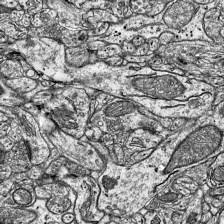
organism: Mouse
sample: Visual Cortex